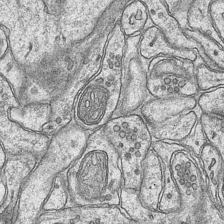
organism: Mouse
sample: CA1 Hippocampus